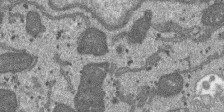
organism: Human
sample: Lung epithelial cells infected with SARS-CoV-2